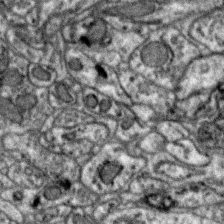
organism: Zebra finch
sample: Brain